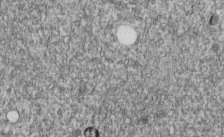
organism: C. elegans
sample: C. elegans embryo early stage